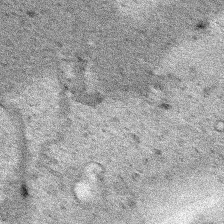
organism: Human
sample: Mitochondria in HCT116 cells